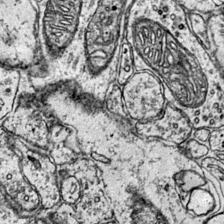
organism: Mouse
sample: Primary visual cortex